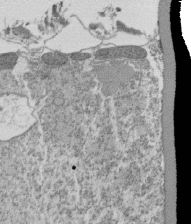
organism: Tetrahymena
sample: Cilia in tetrahymena